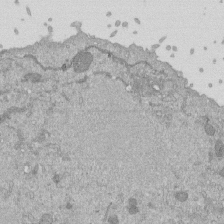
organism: Mouse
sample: ED-1 cell nuclei; centrioles